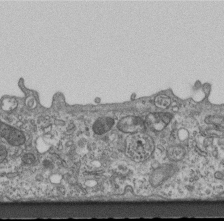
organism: Mouse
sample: Centriole in ependymal cells